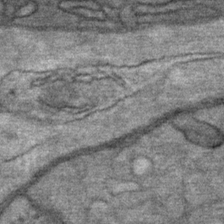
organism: Mouse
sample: Mouse Salivary gland